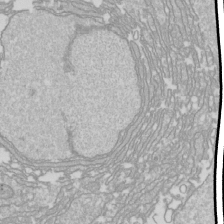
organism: Drosophila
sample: Cell division; meiosis; drosophila spermatocytes